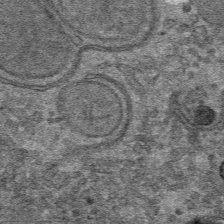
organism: Mouse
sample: Mouse hepatocytes